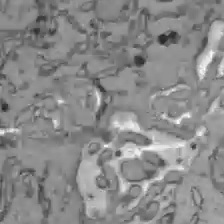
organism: C57BL Mouse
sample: Liver